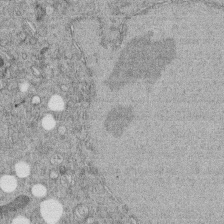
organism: C. elegans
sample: C. elegans embryo early stage